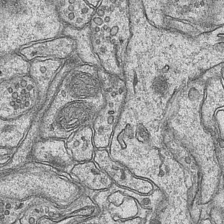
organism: Mouse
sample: CA1 Hippocampus